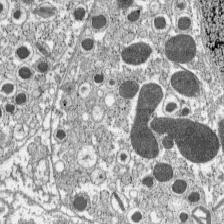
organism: C57BL Mouse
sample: Pancreatic islet